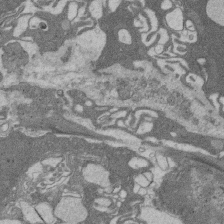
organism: Rat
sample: Salivary granule